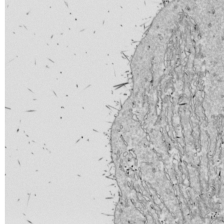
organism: Drosophila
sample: Cell division; meiosis; drosophila spermatocytes